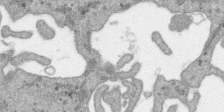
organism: Human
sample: Lung epithelial cells infected with SARS-CoV-2